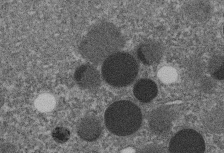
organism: C. elegans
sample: C. elegans embryo early stage